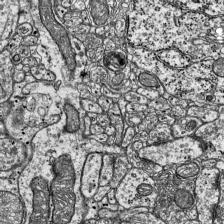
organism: Mouse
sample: Visual Cortex